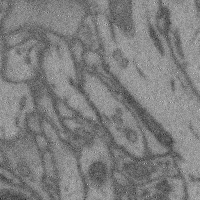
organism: Mouse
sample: Cerebral cortex